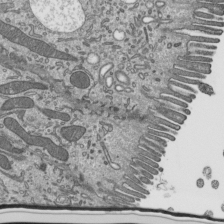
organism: Mouse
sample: Mouse epididymis efferent ductule cilia